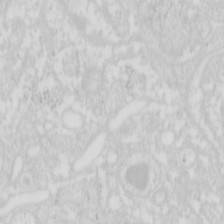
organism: Mouse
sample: Pancreas